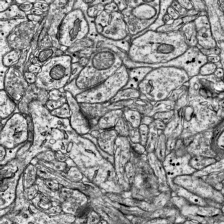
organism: Mouse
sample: Visual Cortex